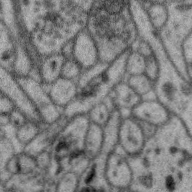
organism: Zebra finch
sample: Brain